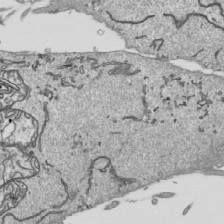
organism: Human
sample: Mitochondria in HCT116 cells